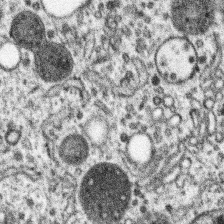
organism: Human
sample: HeLa cells